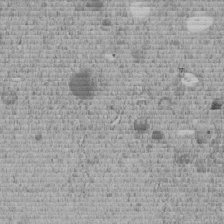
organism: C. elegans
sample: C. elegans embryo early stage